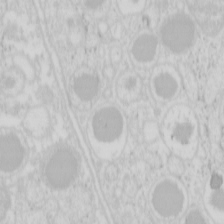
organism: Mouse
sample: Pancreas